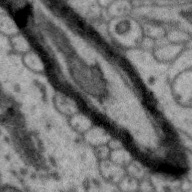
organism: Zebra finch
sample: Brain